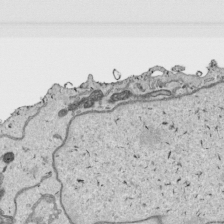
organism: Human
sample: Mitochondria in HCT116 cells